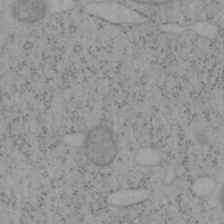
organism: Mouse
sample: OT-I killer T cells with ID8 ovarian cancer cells